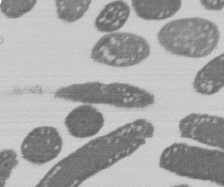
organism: E. coli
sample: Bacterial nucleoid